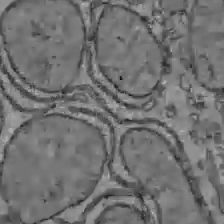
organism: C57BL Mouse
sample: Liver